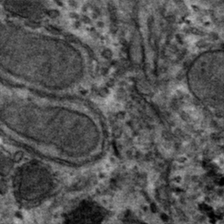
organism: Mouse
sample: Mouse hepatocytes